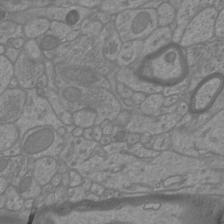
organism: Mouse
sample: Cortical neurons